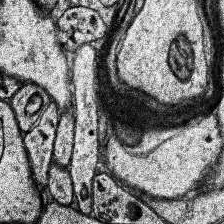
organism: Human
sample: Temporal Lobe